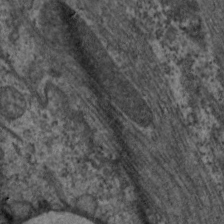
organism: C. elegans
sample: Pharynx